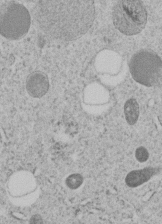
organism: C. elegans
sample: C. elegans embryo early stage